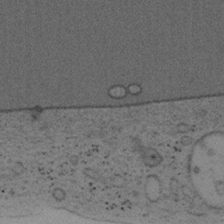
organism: Human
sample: HeLa cells